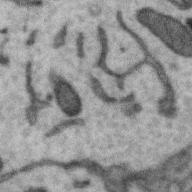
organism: Zebra finch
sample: Brain